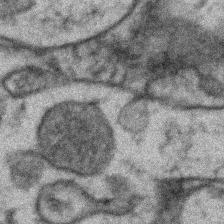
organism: Zebrafish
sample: Zebrafish embryo